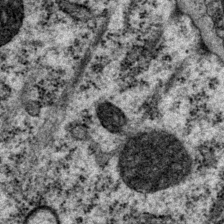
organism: P. pacificus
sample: Pharynx